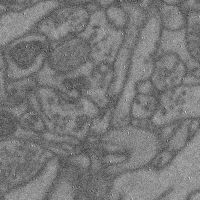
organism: Mouse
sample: Cerebral cortex